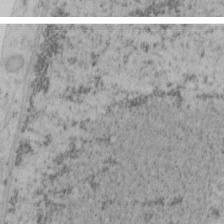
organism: Human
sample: HeLa cells